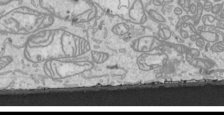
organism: Human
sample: Mitochondria in HCT116 cells